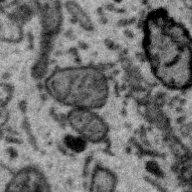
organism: Zebra finch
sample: Brain